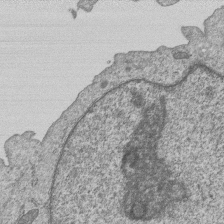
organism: Human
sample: MDA-MB-231 cells